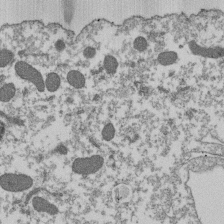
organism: Dictyostelium discoideum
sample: Dictyostelium multivesicular bodies